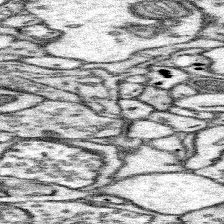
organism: Mouse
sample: Somatosensory cortex neuropil